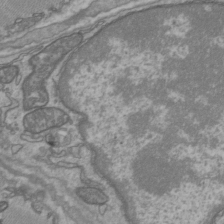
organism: C57BL Mouse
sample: Heart